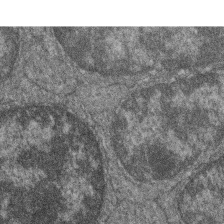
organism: Zebrafish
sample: Cilia; retinal pigment epithelium